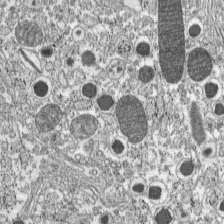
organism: C57BL Mouse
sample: Pancreatic islet